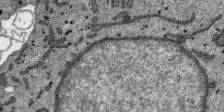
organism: Human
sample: Lung epithelial cells, uninfected (mock) control